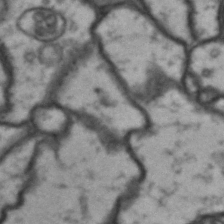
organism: Drosophila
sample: Brain